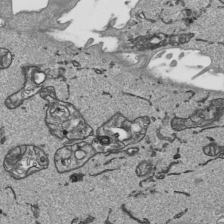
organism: Human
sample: Mitochondria in HCT116 cells